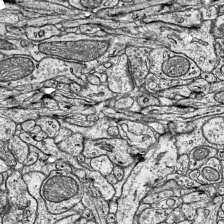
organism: Mouse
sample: Visual Cortex